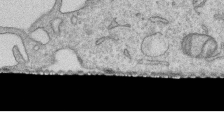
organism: Human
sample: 1205lu cells